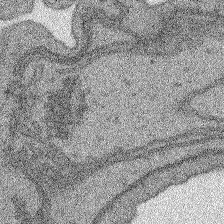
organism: Human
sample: HeLa cells